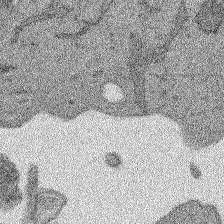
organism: Human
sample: HeLa cells